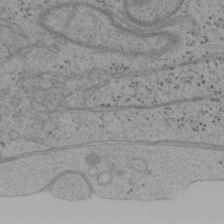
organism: Human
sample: HeLa cells